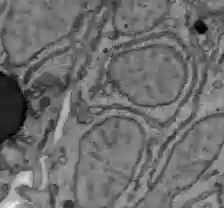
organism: C57BL Mouse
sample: Liver